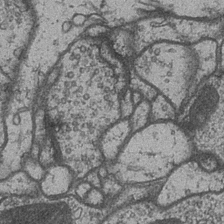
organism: Drosophila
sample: Optic medulla